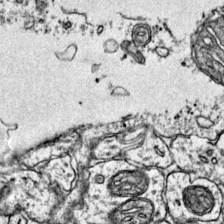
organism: Mouse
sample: Primary visual cortex